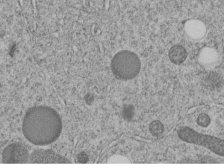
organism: C. elegans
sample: C. elegans embryo early stage